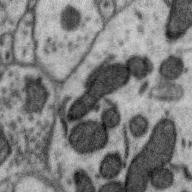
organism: Zebra finch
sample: Brain